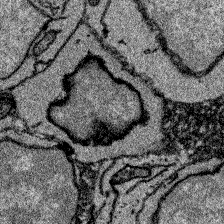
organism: Zebrafish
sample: Larval olfactory bulb